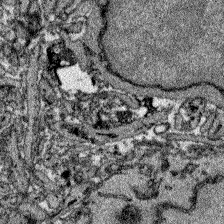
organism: Zebrafish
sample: Larval olfactory bulb